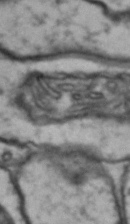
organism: Drosophila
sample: Brain